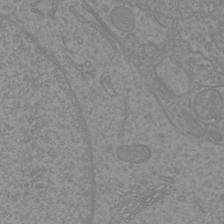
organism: Mouse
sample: Cortical neurons